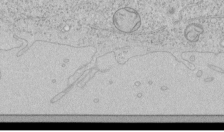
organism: Human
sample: Mitochondria in HCT116 cells